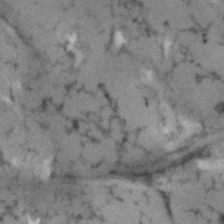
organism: Human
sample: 1205lu cells